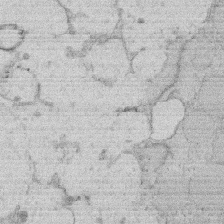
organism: Rat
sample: Salivary granule